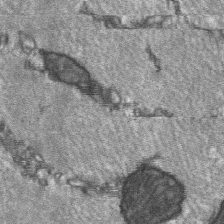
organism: C57BL Mouse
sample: Soleus